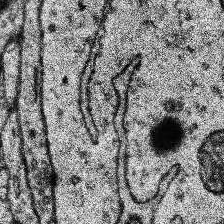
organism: Human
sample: Temporal Lobe